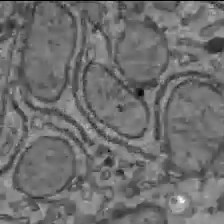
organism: C57BL Mouse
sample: Liver